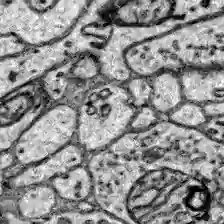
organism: Zebrafish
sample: Brain